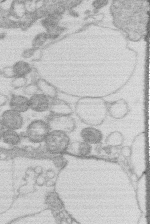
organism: Human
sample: Macrophage cells